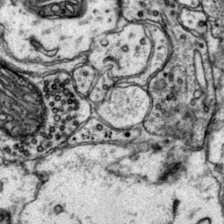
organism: Mouse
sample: Primary visual cortex